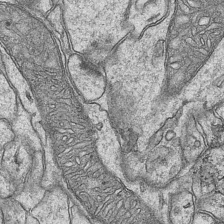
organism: Mouse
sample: CA1 Hippocampus